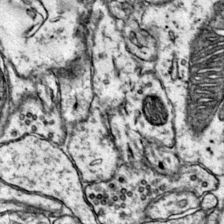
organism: Mouse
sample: Primary visual cortex